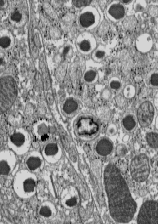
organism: C57BL Mouse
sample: Pancreatic islet